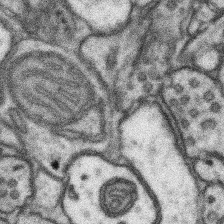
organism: Mouse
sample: Somatosensory cortex neuropil